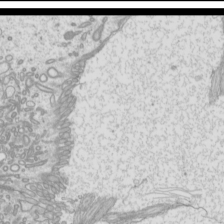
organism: Mouse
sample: Cilia; mouse epididymis